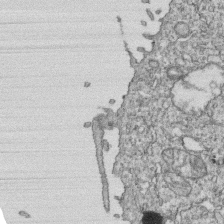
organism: Human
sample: HeLa cell HIV synapse